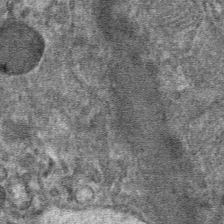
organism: Mouse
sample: Mouse hepatocytes